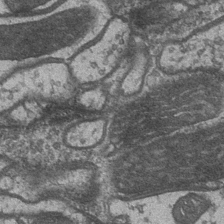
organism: Drosophila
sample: Optic medulla